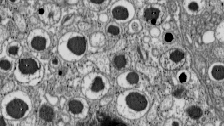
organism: C57BL Mouse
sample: Pancreatic islet